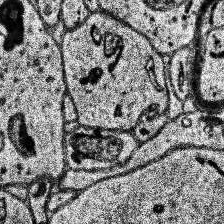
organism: Human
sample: Temporal Lobe